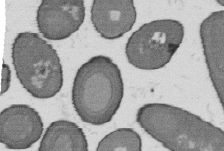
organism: B. subtilis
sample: Bacterial spore